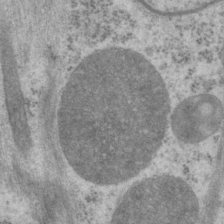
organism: P. pacificus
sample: Pharynx